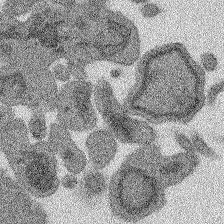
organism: Human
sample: HeLa cells